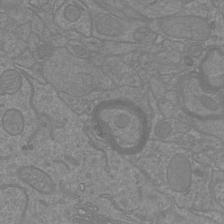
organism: Mouse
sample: Cortical neurons